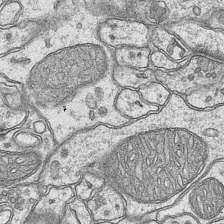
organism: Mouse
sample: CA1 Hippocampus